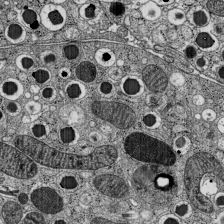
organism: C57BL Mouse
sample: Pancreatic islet